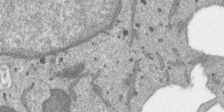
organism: Human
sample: Lung epithelial cells infected with SARS-CoV-2